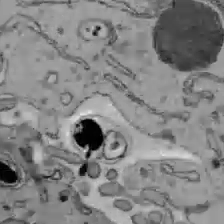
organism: C57BL Mouse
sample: Liver